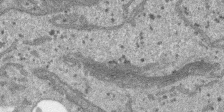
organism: Human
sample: Lung epithelial cells infected with SARS-CoV-2